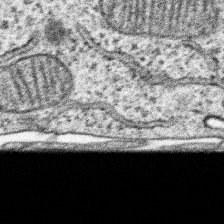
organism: Human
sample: HeLa cells